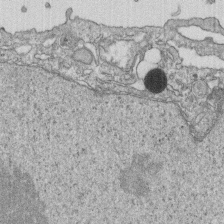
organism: Human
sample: HeLa cell HIV synapse